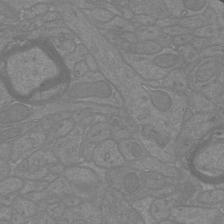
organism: Mouse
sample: Cortical neurons